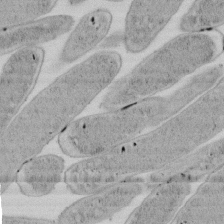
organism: E. coli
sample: Bacterial nucleoid